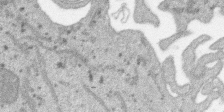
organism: Human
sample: Lung epithelial cells infected with SARS-CoV-2